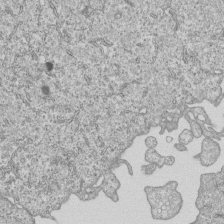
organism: Human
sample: MDA-MB-231 cells